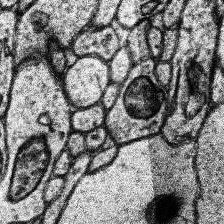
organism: Human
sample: Temporal Lobe